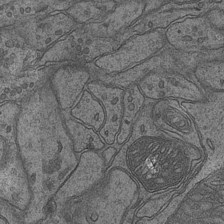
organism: Mouse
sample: CA1 Hippocampus